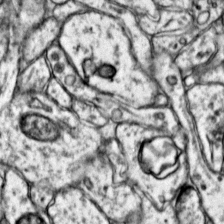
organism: Mouse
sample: Primary visual cortex